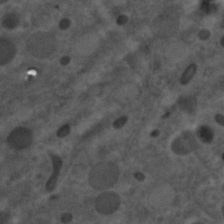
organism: C. elegans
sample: C. elegans embryo